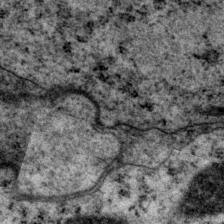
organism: P. pacificus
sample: Pharynx